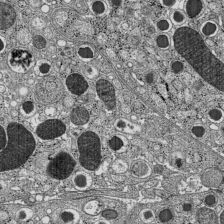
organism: C57BL Mouse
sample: Pancreatic islet